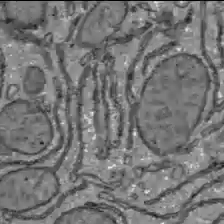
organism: C57BL Mouse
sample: Liver